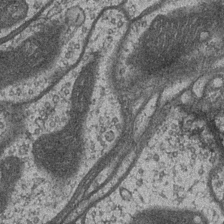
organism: Drosophila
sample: Optic medulla